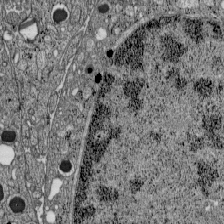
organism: C57BL Mouse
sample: Pancreatic islet